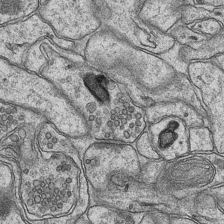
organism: Mouse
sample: CA1 Hippocampus